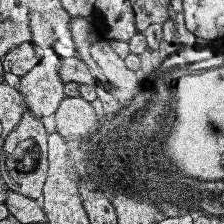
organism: Human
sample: Temporal Lobe